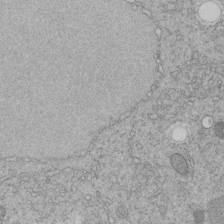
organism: C. elegans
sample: C. elegans embryo early stage